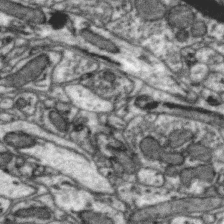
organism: Zebra finch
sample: Brain